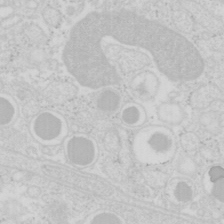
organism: Mouse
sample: Pancreas